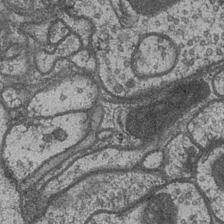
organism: Drosophila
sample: Optic medulla